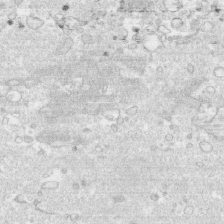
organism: Human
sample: CRL-1474